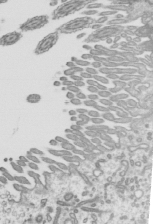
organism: Mouse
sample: Mouse epididymis efferent ductule cilia